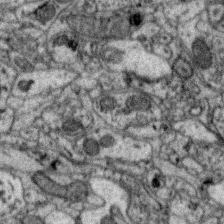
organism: Zebra finch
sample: Brain